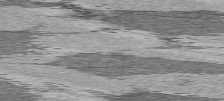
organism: C57BL Mouse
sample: Heart